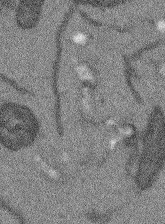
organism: Arabidopsis thaliana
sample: Root tip